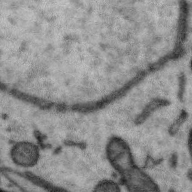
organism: Zebra finch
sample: Brain